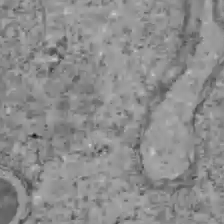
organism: C57BL Mouse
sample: Liver